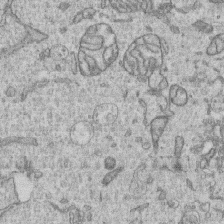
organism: Human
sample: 1205lu cells